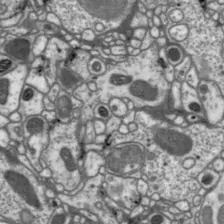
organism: Drosophila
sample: Protocerebral bridge